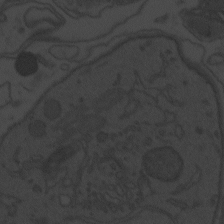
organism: Zebrafish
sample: Macrophage infected with Toxoplasma gondii